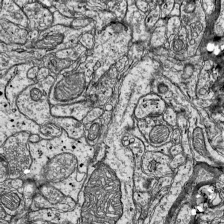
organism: Mouse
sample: Visual Cortex